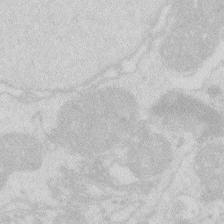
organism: Zebrafish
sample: Macrophage